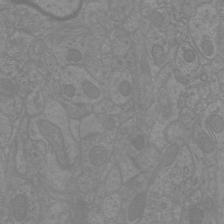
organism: Mouse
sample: Cortical neurons